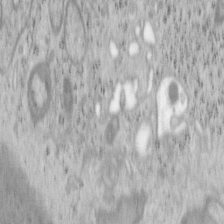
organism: Human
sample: HeLa cells